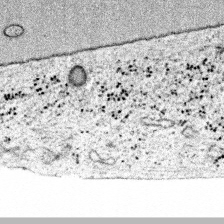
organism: Human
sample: HeLa cells